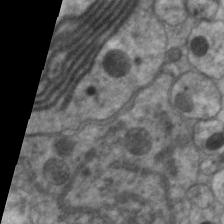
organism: C. elegans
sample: Pharynx